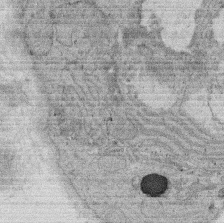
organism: Rat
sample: Salivary granule